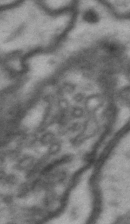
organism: Drosophila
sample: Brain